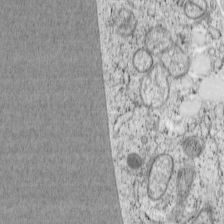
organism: African green monkey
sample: COS-7 cells